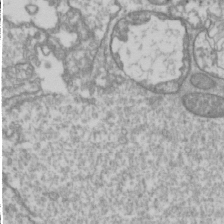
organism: Drosophila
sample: Cell division; meiosis; drosophila spermatocytes